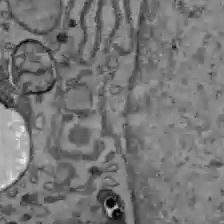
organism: C57BL Mouse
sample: Liver